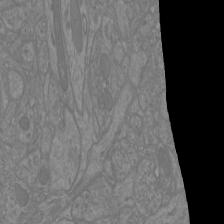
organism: Mouse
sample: Cortical neurons